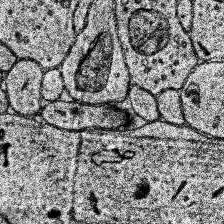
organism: Human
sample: Temporal Lobe